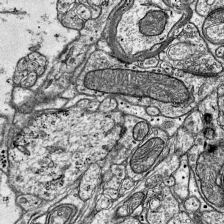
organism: Mouse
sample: Visual Cortex